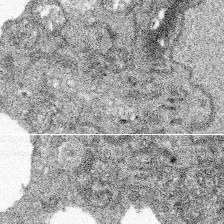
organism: Spongilla lacustris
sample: Multiple